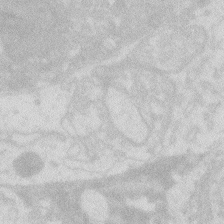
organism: Zebrafish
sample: Macrophage